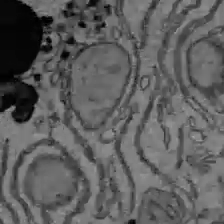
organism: C57BL Mouse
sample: Liver